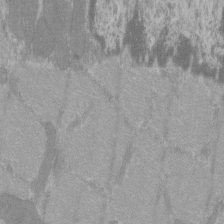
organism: C57BL Mouse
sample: Tibialis anterior muscle cell